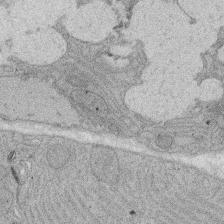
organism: Rat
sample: Salivary granule